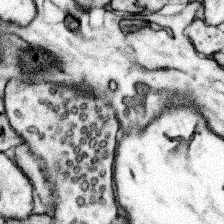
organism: Mouse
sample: Somatosensory cortex neuropil